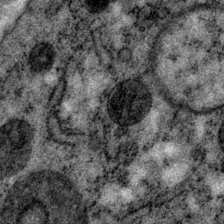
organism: P. pacificus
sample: Pharynx